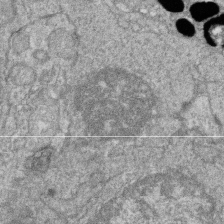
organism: Zebrafish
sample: Cilia; retinal pigment epithelium